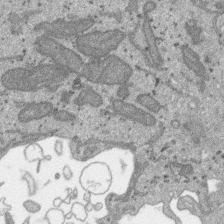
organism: Human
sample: Lung epithelial cells infected with SARS-CoV-2